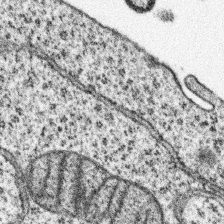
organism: Human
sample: HeLa cells